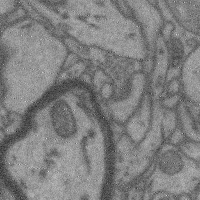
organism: Mouse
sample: Cerebral cortex